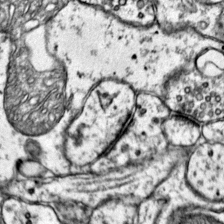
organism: Mouse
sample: Primary visual cortex